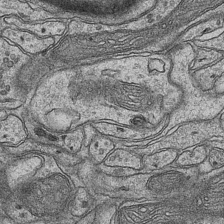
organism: Mouse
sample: CA1 Hippocampus